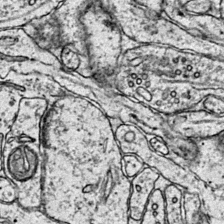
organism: Mouse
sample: Primary visual cortex